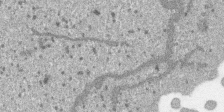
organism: Human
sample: Lung epithelial cells infected with SARS-CoV-2